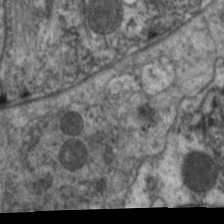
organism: C. elegans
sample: Pharynx